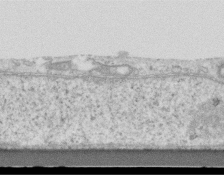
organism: Mouse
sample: Centriole in ependymal cells